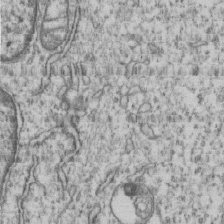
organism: Human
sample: MDA-MB-231 cells